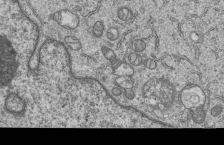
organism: Human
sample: MDA-MB-231 cells